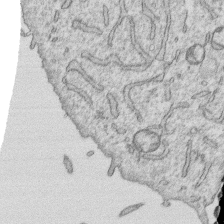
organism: Human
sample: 1205lu cells